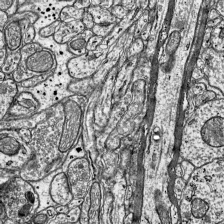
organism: Mouse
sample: Visual Cortex